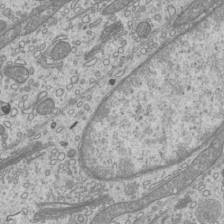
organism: Mouse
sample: Cilia; mouse epididymis